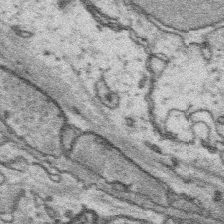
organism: Platynereis dumerilii